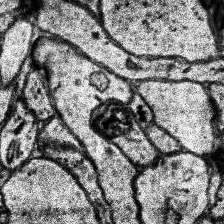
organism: Human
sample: Temporal Lobe